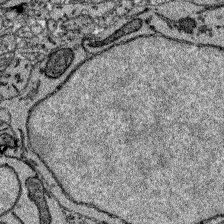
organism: Zebrafish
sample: Larval olfactory bulb